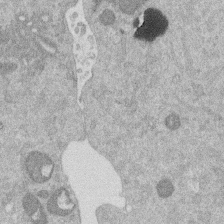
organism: Mouse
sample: Dividing mouse embryo 1 cell stage